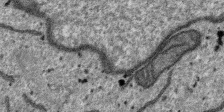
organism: Human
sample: Lung epithelial cells, uninfected (mock) control